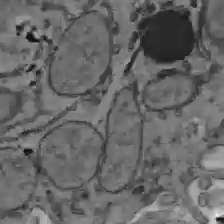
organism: C57BL Mouse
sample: Liver